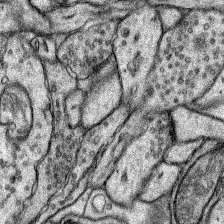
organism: Rat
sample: Hippocampus